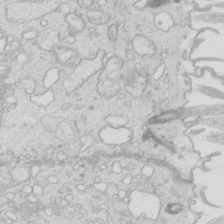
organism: Mouse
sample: Multiciliated cells